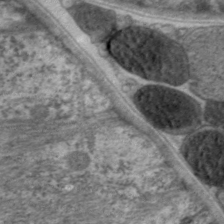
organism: C. elegans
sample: Pharynx